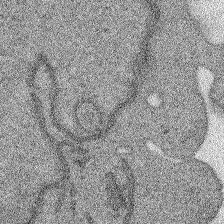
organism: Human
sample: HeLa cells